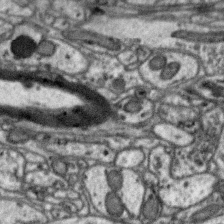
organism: Zebra finch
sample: Brain